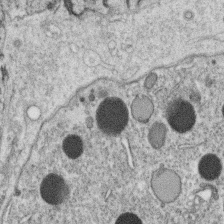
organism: C. elegans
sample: C. elegans oocyte; sperm cells